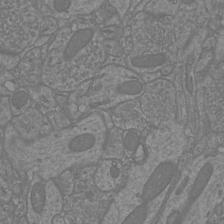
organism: Mouse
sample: Cortical neurons